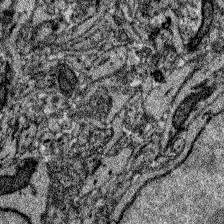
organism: Zebrafish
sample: Larval olfactory bulb